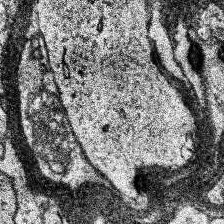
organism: Human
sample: Temporal Lobe